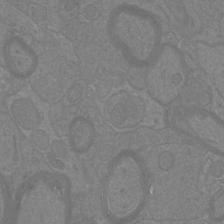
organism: Mouse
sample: Cortical neurons